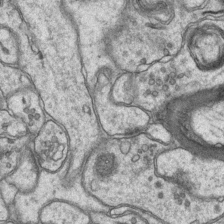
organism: Mouse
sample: CA1 Hippocampus